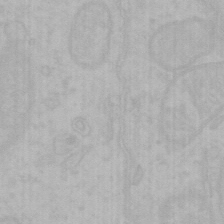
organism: Mouse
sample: Choroid plexus